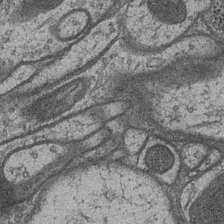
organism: Drosophila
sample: Optic medulla